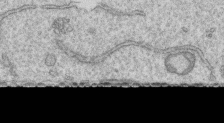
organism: Human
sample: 1205lu cells